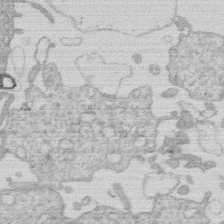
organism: Human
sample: Macrophage cells